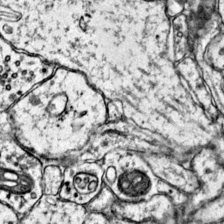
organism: Mouse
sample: Primary visual cortex